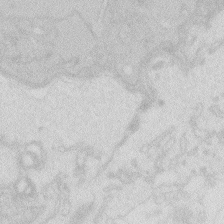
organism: Zebrafish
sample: Macrophage